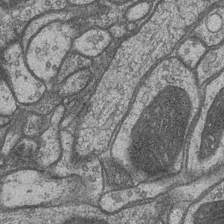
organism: Drosophila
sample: Optic medulla